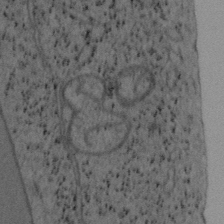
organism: Human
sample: HeLa cells